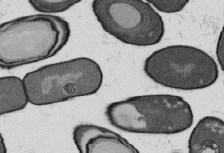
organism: B. subtilis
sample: Bacterial spore